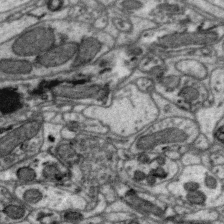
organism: Zebra finch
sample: Brain